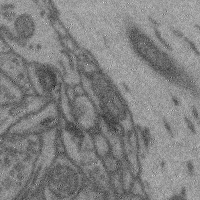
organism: Mouse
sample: Cerebral cortex